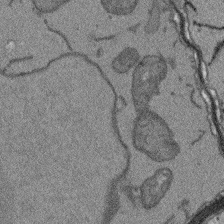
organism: Arabidopsis thaliana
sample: Root tip